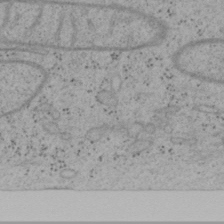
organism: Human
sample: HeLa cells